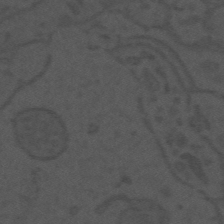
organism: Mouse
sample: Suprachiasmatic nucleus